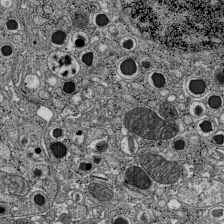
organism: C57BL Mouse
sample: Pancreatic islet